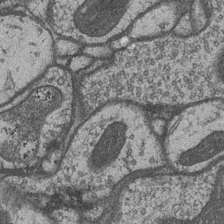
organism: Drosophila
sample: Optic medulla